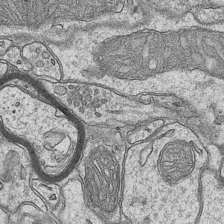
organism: Mouse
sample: CA1 Hippocampus